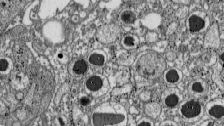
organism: C57BL Mouse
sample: Pancreatic islet